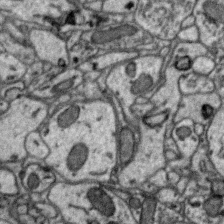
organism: Zebra finch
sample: Brain